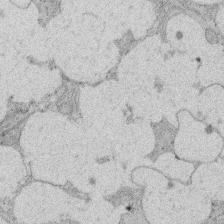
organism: Rat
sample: Salivary granule